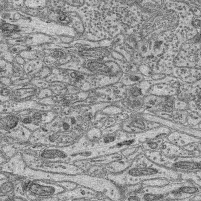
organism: Mouse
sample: Retina